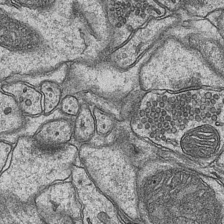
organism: Mouse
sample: CA1 Hippocampus